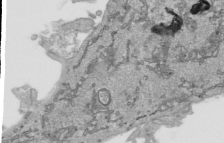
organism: Human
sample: Mitochondria in HCT116 cells